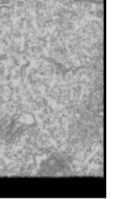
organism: Drosophila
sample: Cell division; meiosis; drosophila spermatocytes